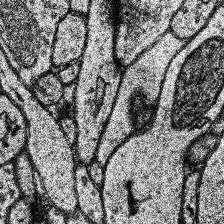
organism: Human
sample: Temporal Lobe